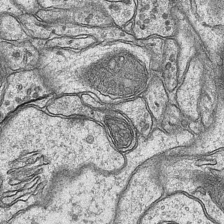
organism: Mouse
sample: CA1 Hippocampus